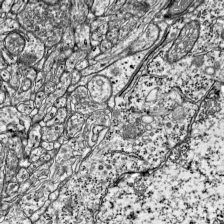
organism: Mouse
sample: Visual Cortex